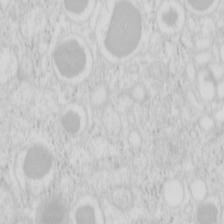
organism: Mouse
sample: Pancreas